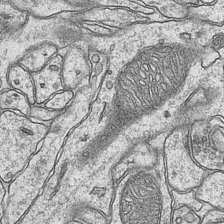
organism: Mouse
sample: CA1 Hippocampus